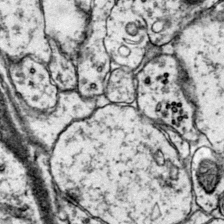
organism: Mouse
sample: Primary visual cortex